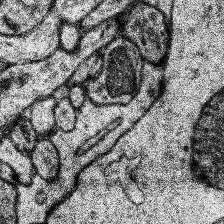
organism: Human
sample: Temporal Lobe